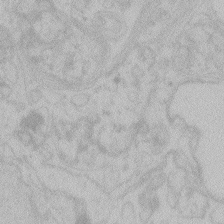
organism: Zebrafish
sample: Macrophage infected with Toxoplasma gondii